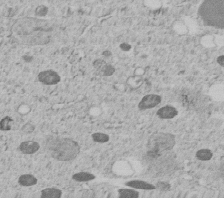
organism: C. elegans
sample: C. elegans embryo early stage